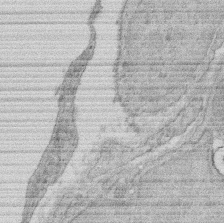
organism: Rat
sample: Salivary granule